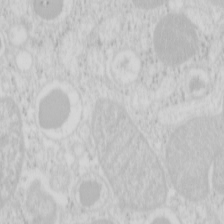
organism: Mouse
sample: Pancreas